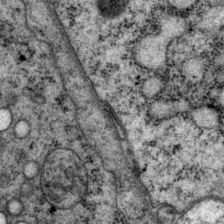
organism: P. pacificus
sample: Pharynx